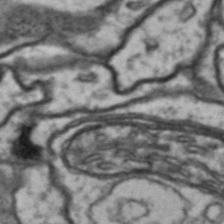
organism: Drosophila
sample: Brain